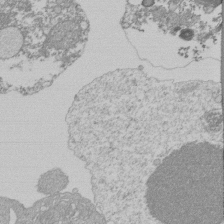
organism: Mouse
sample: Activated Pmel transgenic CD8+ T Cells